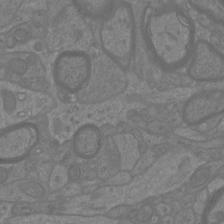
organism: Mouse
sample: Cortical neurons